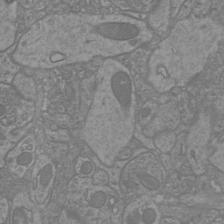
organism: Mouse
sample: Cortical neurons